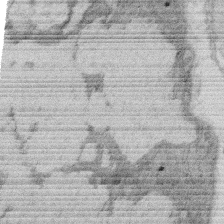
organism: Rat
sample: Salivary granule